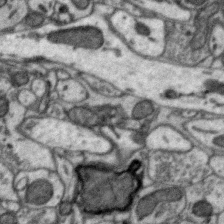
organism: Zebra finch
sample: Brain